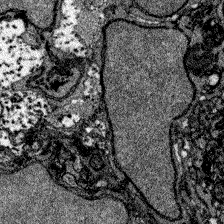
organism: Zebrafish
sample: Larval olfactory bulb